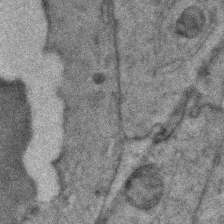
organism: Zebrafish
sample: Zebrafish embryo